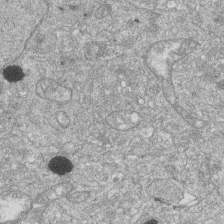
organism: Human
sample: HeLa cell HIV synapse